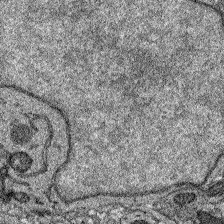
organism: Zebrafish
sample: Larval olfactory bulb